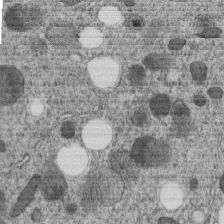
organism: C. elegans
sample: C. elegans embryo early stage